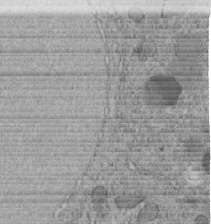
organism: C. elegans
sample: C. elegans embryo early stage